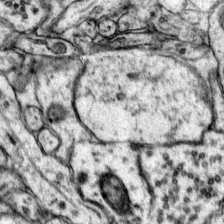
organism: Mouse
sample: Primary visual cortex